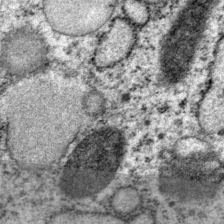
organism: P. pacificus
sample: Pharynx